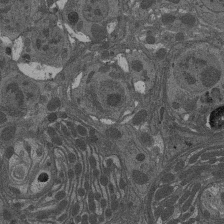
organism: Drosophila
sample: Antenna